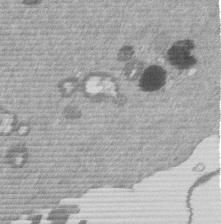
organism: Mouse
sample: Dividing mouse embryo 1 cell stage